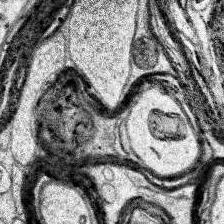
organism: Human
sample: Temporal Lobe